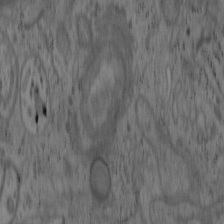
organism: Human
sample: HeLa cells